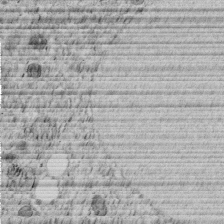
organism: C. elegans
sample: C. elegans embryo early stage